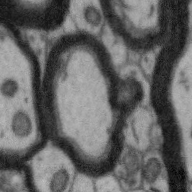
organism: Zebra finch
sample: Brain